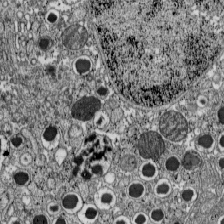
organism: C57BL Mouse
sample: Pancreatic islet